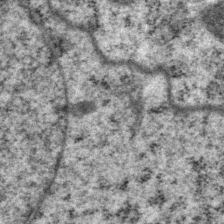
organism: P. pacificus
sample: Pharynx